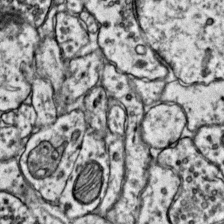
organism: Mouse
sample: Primary visual cortex